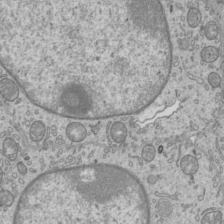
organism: Mouse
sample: Cilia; mouse epididymis